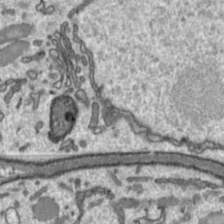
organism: Toxoplasma gondii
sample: Parasites in a vacuole inside a host cell